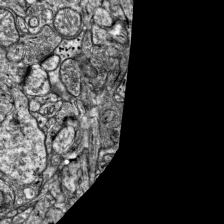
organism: Mouse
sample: Visual Cortex